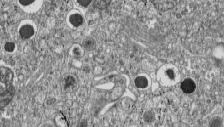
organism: C57BL Mouse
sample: Pancreatic islet